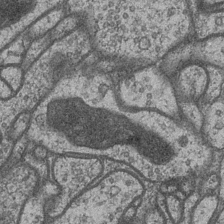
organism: Drosophila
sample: Optic medulla